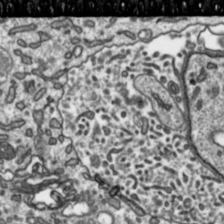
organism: Toxoplasma gondii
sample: Parasites in a vacuole inside a host cell